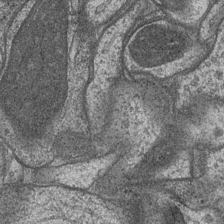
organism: Drosophila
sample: Optic medulla